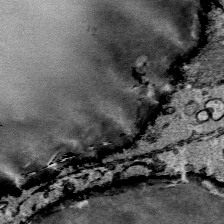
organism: Mouse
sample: Mouse Salivary gland